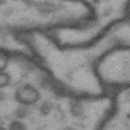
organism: Drosophila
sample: Brain